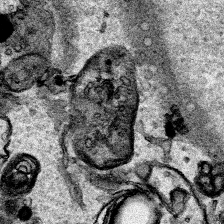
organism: Human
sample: Mitochondria in HCT116 cells